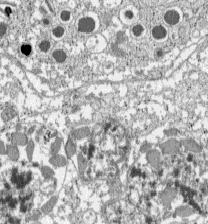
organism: C57BL Mouse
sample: Pancreatic islet